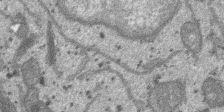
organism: Human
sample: Lung epithelial cells infected with SARS-CoV-2